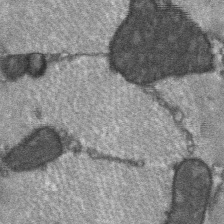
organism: C57BL Mouse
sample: Soleus